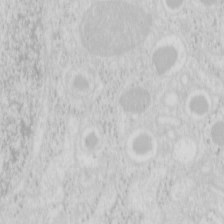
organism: Mouse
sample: Pancreas